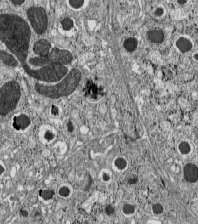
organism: C57BL Mouse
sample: Pancreatic islet